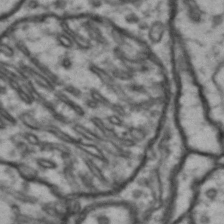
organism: Drosophila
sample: Brain